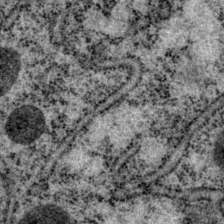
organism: P. pacificus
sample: Pharynx